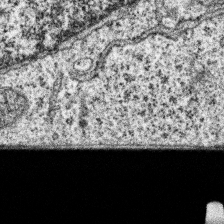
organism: Human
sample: HeLa cells